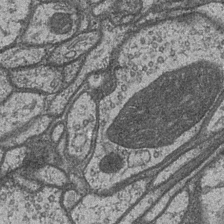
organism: Drosophila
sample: Optic medulla